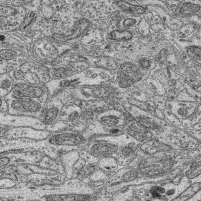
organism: Mouse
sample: Retina